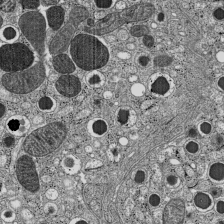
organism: C57BL Mouse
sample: Pancreatic islet